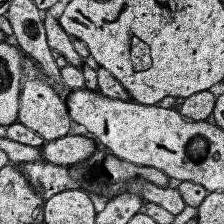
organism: Human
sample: Temporal Lobe